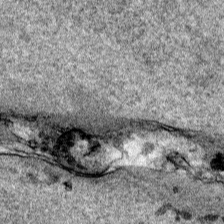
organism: Human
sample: Mitochondria in HCT116 cells